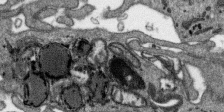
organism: Human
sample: Lung epithelial cells, uninfected (mock) control